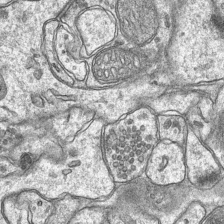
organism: Mouse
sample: CA1 Hippocampus